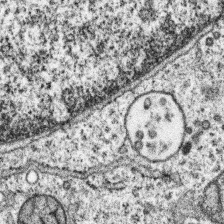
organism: Human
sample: HeLa cells